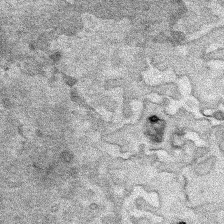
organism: Human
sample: Mitochondria in HCT116 cells